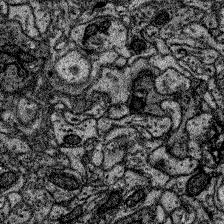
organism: Zebrafish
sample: Larval olfactory bulb